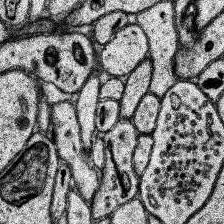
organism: Human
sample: Temporal Lobe